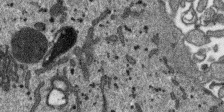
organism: Human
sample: Lung epithelial cells infected with SARS-CoV-2